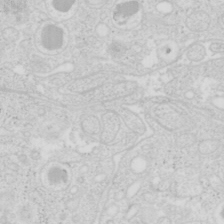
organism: Mouse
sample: Pancreas